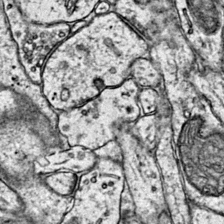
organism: Mouse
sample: Primary visual cortex